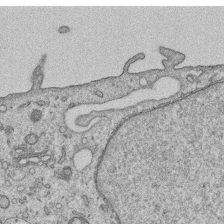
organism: Human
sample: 1205lu cells